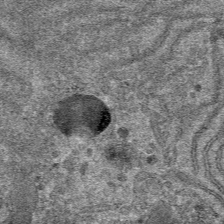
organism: Mouse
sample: Mouse hepatocytes